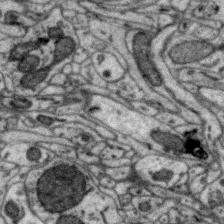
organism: Zebra finch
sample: Brain